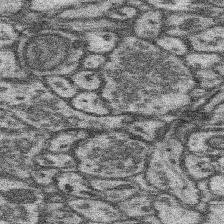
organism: Mouse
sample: Somatosensory cortex neuropil